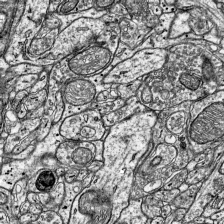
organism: Mouse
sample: Visual Cortex